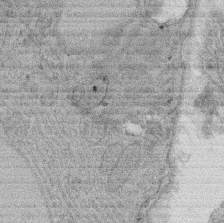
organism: Rat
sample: Salivary granule